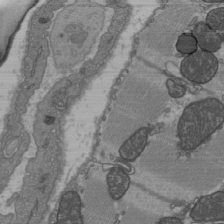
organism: C57BL Mouse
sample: Heart